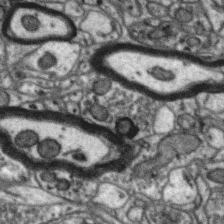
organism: Zebra finch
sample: Brain